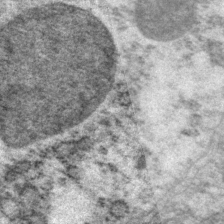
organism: P. pacificus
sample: Pharynx